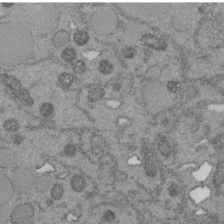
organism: C. elegans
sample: C. elegans embryo early stage